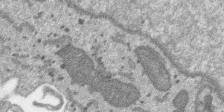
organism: Human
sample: Lung epithelial cells infected with SARS-CoV-2